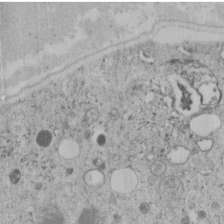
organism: C. elegans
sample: C. elegans embryo early stage